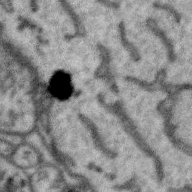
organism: Zebra finch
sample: Brain